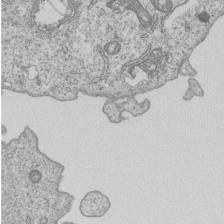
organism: Human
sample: MDA-MB-231 cells